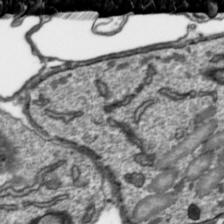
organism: Toxoplasma gondii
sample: Parasites in a vacuole inside a host cell